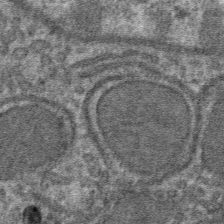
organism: Mouse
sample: Mouse hepatocytes